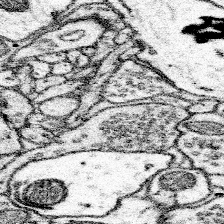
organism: Mouse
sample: Somatosensory cortex neuropil